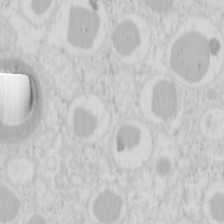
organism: Mouse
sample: Pancreas